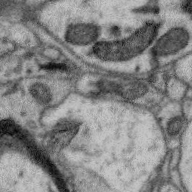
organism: Zebra finch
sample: Brain